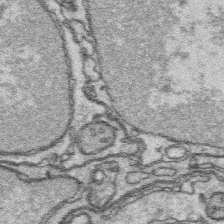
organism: Platynereis dumerilii